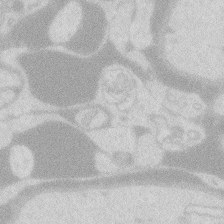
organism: Zebrafish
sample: Macrophage